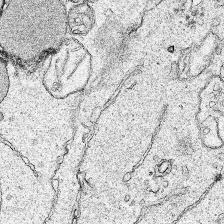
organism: Human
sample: Mitochondria in HCT116 cells